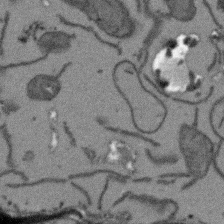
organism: Arabidopsis thaliana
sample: Root tip